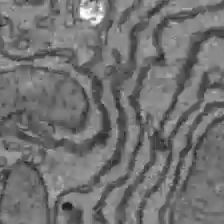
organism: C57BL Mouse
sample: Liver